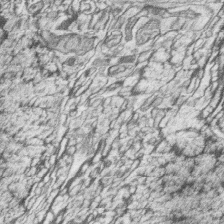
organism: Zebrafish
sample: synaptic ribbons in rod cells and cone cells